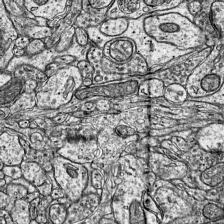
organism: Mouse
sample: Visual Cortex